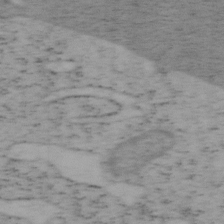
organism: Mouse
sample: OT-I killer T cells with ID8 ovarian cancer cells